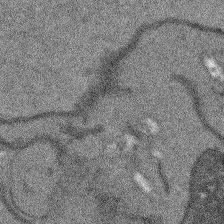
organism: Arabidopsis thaliana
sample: Root tip